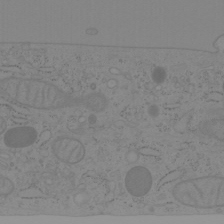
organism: Human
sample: HeLa cells